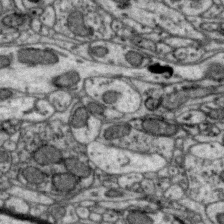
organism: Zebra finch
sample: Brain